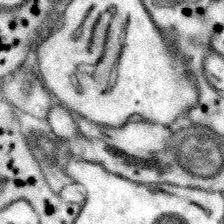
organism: Mouse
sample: Somatosensory cortex neuropil